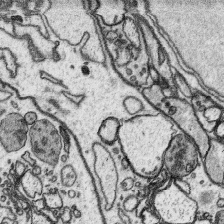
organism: Platynereis dumerilii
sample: Parapodia